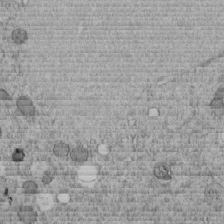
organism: C. elegans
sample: C. elegans embryo early stage